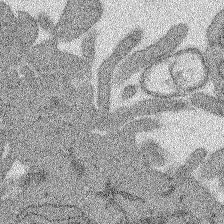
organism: Human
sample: HeLa cells